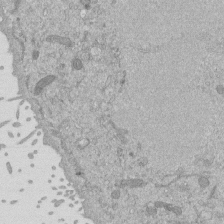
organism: Mouse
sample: ED-1 cell nuclei; centrioles